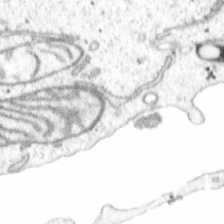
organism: Human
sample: HeLa cells